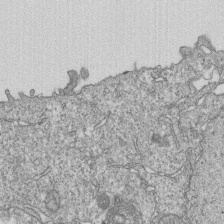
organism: Human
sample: HeLa cell HIV synapse